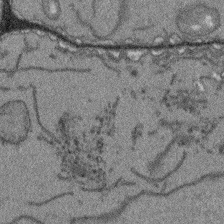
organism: Arabidopsis thaliana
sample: Root tip